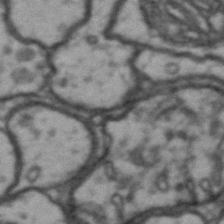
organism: Drosophila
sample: Brain